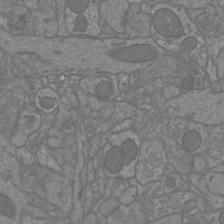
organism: Mouse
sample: Cortical neurons